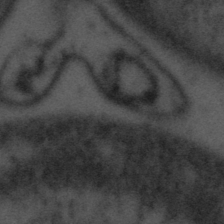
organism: Tuwongella immobilis